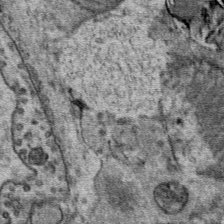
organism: Mouse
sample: Mouse Salivary gland